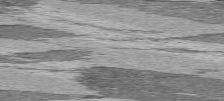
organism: C57BL Mouse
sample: Heart